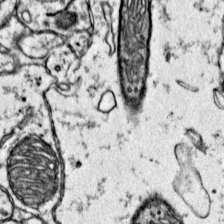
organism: Mouse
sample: Primary visual cortex